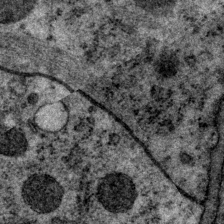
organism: P. pacificus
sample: Pharynx